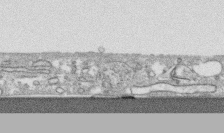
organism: Human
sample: CRL-1474